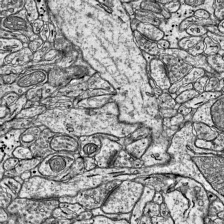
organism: Mouse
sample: Visual Cortex